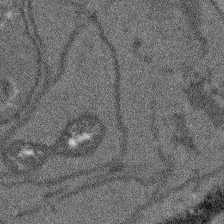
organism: Arabidopsis thaliana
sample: Root tip